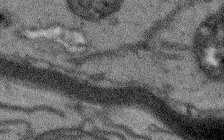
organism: Arabidopsis thaliana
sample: Root tip